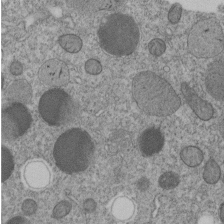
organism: C. elegans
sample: C. elegans embryo early stage